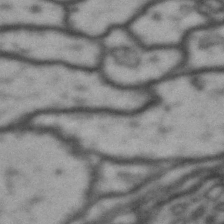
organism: Drosophila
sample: Brain